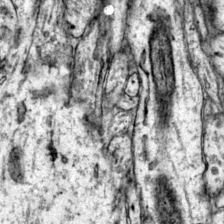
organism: Mouse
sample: Primary visual cortex